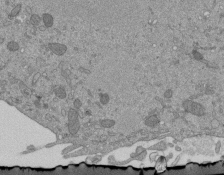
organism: Mouse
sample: ED-1 cell nuclei; centrioles